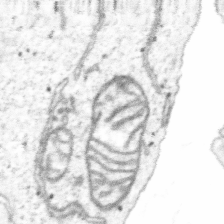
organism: Human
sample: HeLa cells